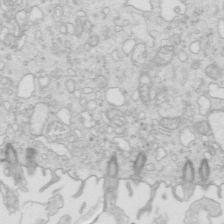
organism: Mouse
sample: Multiciliated cells